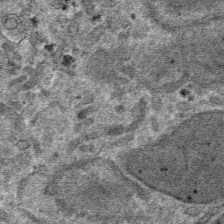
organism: Mouse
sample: Mouse hepatocytes